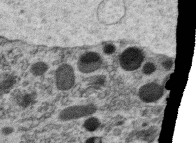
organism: C. elegans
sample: C. elegans oocyte; sperm cells